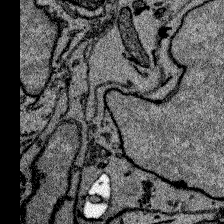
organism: Zebrafish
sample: Larval olfactory bulb